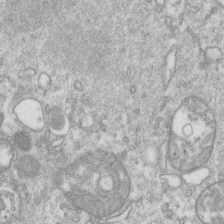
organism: Mouse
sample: Activated OT-1 CD8+ T cells